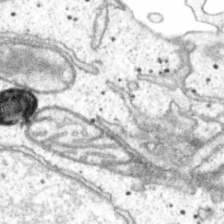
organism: Human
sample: HeLa cells